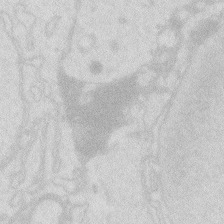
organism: Zebrafish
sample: Macrophage